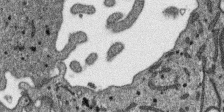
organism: Human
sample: Lung epithelial cells infected with SARS-CoV-2